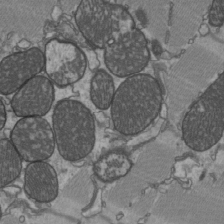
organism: C57BL Mouse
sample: Heart